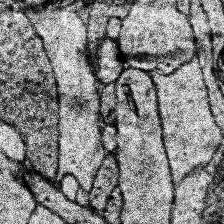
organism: Human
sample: Temporal Lobe